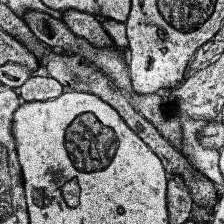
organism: Human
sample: Temporal Lobe